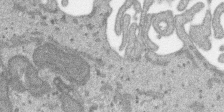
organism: Human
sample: Lung epithelial cells infected with SARS-CoV-2